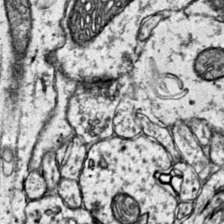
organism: Mouse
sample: Primary visual cortex